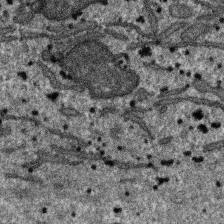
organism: Human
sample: Lung epithelial cells infected with SARS-CoV-2